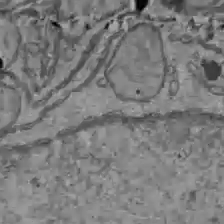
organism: C57BL Mouse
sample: Liver